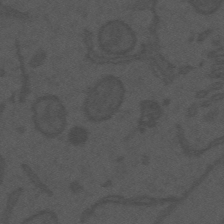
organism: Mouse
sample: Suprachiasmatic nucleus